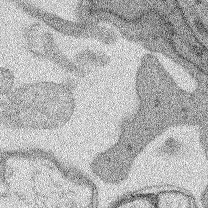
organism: Human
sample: HeLa cells